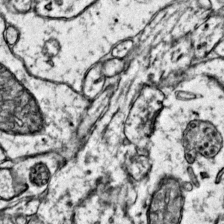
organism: Mouse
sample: Primary visual cortex